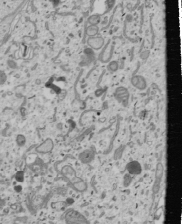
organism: Human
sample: Mitochondria in U2OS cells